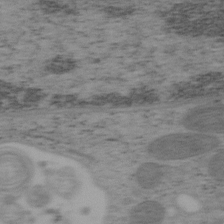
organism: Mouse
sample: OT-I killer T cells with ID8 ovarian cancer cells